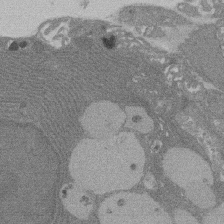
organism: Rat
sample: Salivary granule